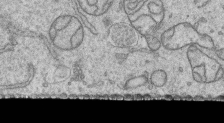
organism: Human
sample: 1205lu cells